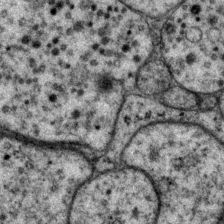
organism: P. pacificus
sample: Pharynx